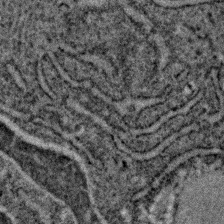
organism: C. elegans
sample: C. elegans embryo